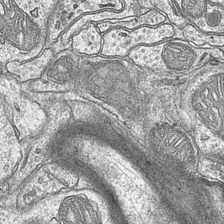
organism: Mouse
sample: CA1 Hippocampus